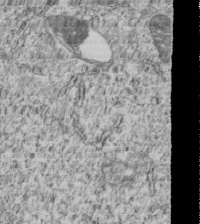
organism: Human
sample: MDA-MB-231 cells